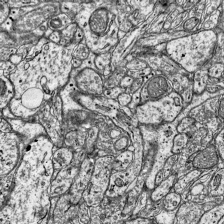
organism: Mouse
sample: Visual Cortex